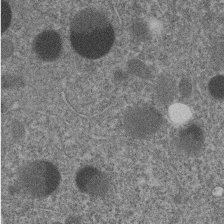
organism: C. elegans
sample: C. elegans embryo early stage